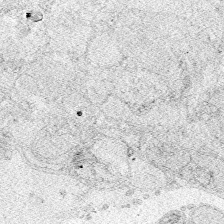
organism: Zebrafish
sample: Whole-Brain